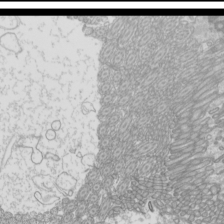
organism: Mouse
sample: Cilia; mouse epididymis